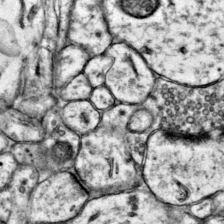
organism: Mouse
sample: Primary visual cortex